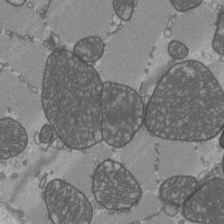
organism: C57BL Mouse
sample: Heart